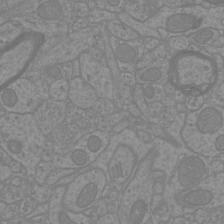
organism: Mouse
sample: Cortical neurons